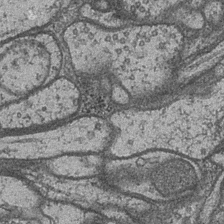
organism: Drosophila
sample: Optic medulla